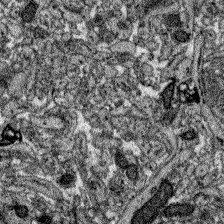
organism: Zebrafish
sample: Larval olfactory bulb